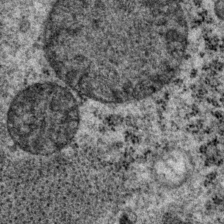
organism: P. pacificus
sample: Pharynx